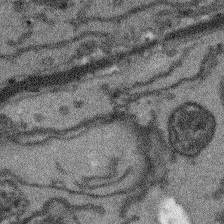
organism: Arabidopsis thaliana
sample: Root tip